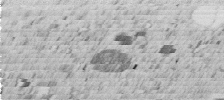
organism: C. elegans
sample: C. elegans embryo early stage